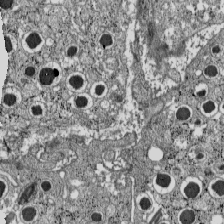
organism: C57BL Mouse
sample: Pancreatic islet